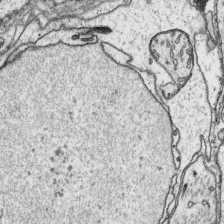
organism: Platynereis dumerilii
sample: Parapodia